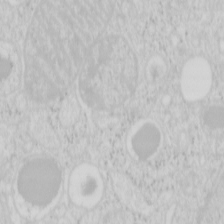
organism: Mouse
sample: Pancreas